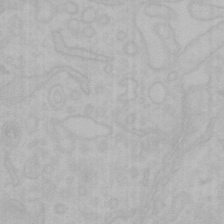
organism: Mouse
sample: Choroid plexus